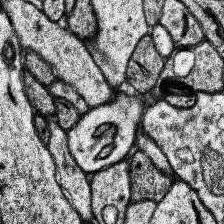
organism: Human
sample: Temporal Lobe